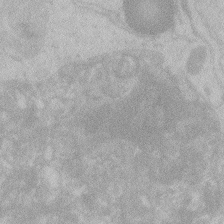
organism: Zebrafish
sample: Macrophage infected with Toxoplasma gondii